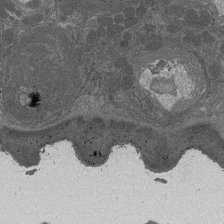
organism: Drosophila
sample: Antenna